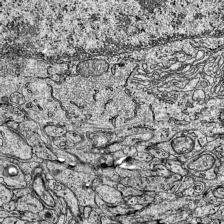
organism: Mouse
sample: Visual Cortex